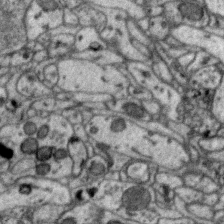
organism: Zebra finch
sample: Brain